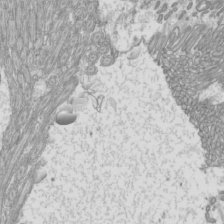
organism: Mouse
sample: Cilia; mouse epididymis